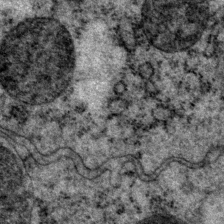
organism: P. pacificus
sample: Pharynx